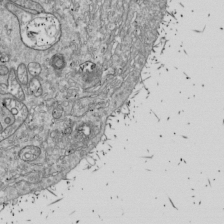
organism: Drosophila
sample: Cell division; meiosis; drosophila spermatocytes